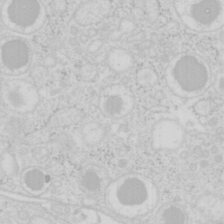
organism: Mouse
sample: Pancreas